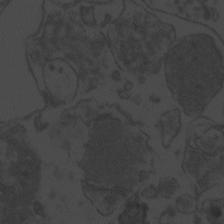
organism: Zebrafish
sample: Macrophage infected with Toxoplasma gondii